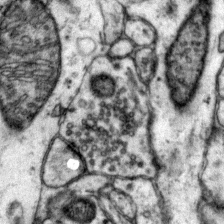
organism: Mouse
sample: Primary visual cortex